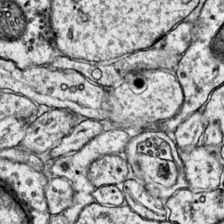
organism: Mouse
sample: Primary visual cortex